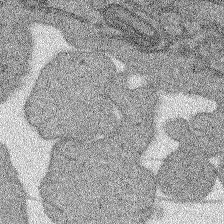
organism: Human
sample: HeLa cells